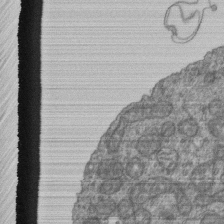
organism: Human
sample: Retinal organoid Rod and Cone cells